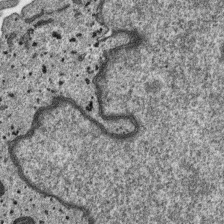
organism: Human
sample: Lung epithelial cells infected with SARS-CoV-2